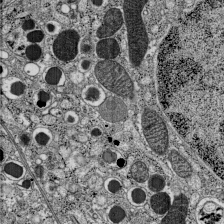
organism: C57BL Mouse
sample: Pancreatic islet